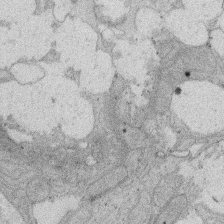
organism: Rat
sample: Salivary granule